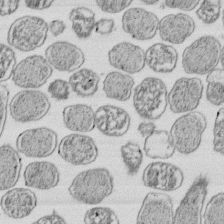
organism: E. coli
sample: Bacterial nucleoid